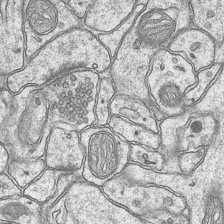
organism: Mouse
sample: CA1 Hippocampus